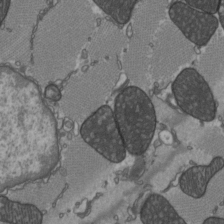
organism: C57BL Mouse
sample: Heart